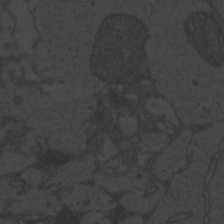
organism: Zebrafish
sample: Macrophage infected with Toxoplasma gondii